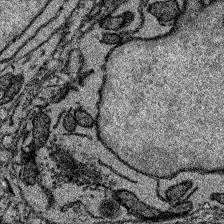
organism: Zebrafish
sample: Larval olfactory bulb